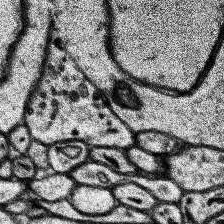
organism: Human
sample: Temporal Lobe